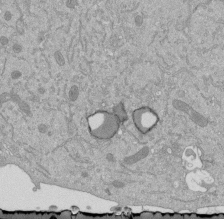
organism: Mouse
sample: ED-1 cell nuclei; centrioles